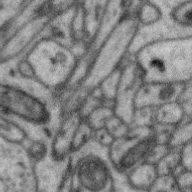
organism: Zebra finch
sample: Brain